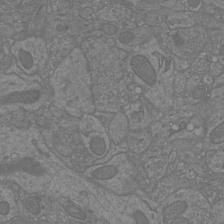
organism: Mouse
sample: Cortical neurons